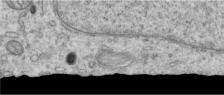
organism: Human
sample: Centriole in RPE cells